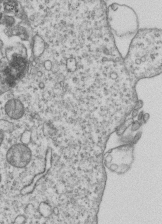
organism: Human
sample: MDA-MB-231 cells